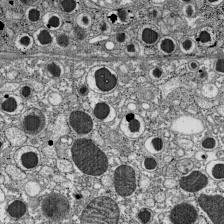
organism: C57BL Mouse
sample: Pancreatic islet